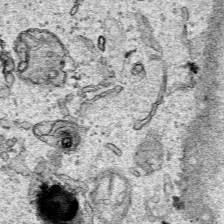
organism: Human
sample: Mitochondria in HCT116 cells